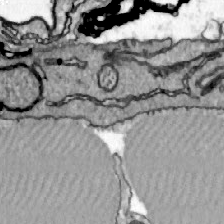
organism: Zebrafish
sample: Actinotrichia fibers